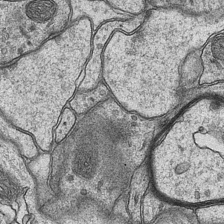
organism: Mouse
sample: CA1 Hippocampus